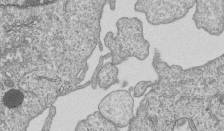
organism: Human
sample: MDA-MB-231 cells